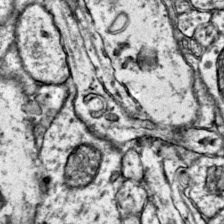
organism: Mouse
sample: Primary visual cortex